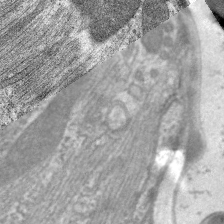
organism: C. elegans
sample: Pharynx